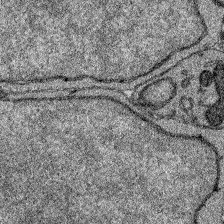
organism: Zebrafish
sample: Larval olfactory bulb